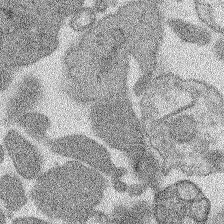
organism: Human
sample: HeLa cells